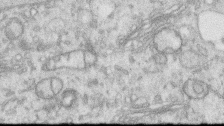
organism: Human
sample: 1205lu cells